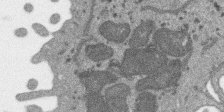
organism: Human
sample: Lung epithelial cells infected with SARS-CoV-2